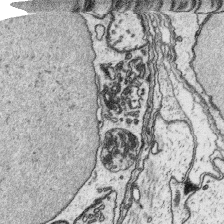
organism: Platynereis dumerilii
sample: Parapodia